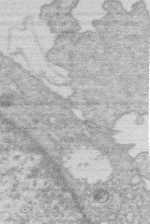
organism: Human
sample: Macrophage cells